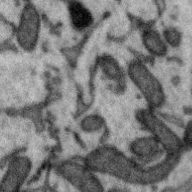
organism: Zebra finch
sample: Brain